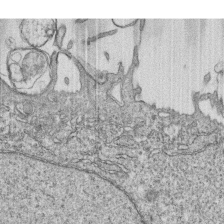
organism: Human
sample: HeLa cell HIV synapse